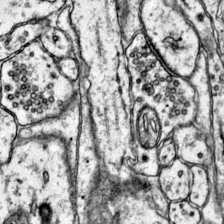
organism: Mouse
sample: Primary visual cortex